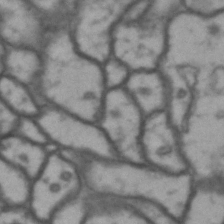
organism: Drosophila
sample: Brain